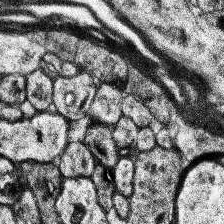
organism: Human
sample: Temporal Lobe